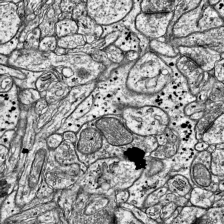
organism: Mouse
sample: Visual Cortex